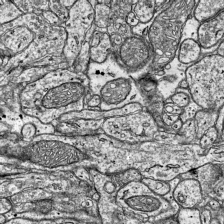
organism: Mouse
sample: Visual Cortex